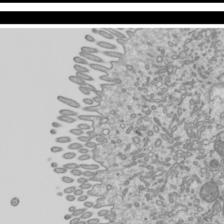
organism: Mouse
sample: Cilia; mouse epididymis